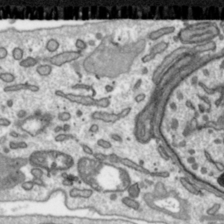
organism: Toxoplasma gondii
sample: Parasites in a vacuole inside a host cell